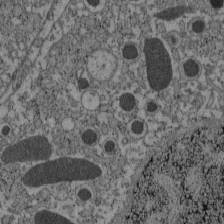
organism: C57BL Mouse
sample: Pancreatic islet